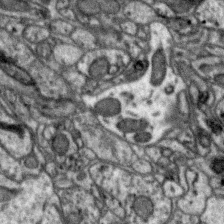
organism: Zebra finch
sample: Brain